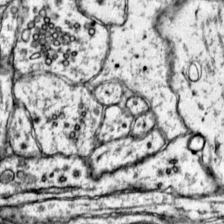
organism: Mouse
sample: Primary visual cortex